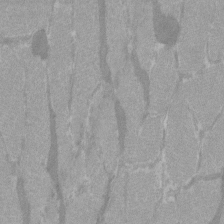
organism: C57BL Mouse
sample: Tibialis anterior muscle cell